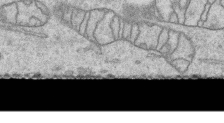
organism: Human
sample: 1205lu cells